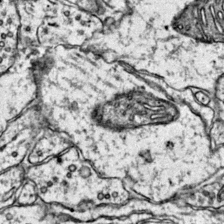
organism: Mouse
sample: Primary visual cortex